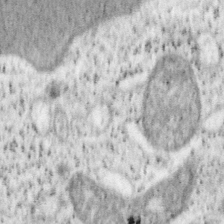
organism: Mouse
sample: OT-I killer T cells with ID8 ovarian cancer cells